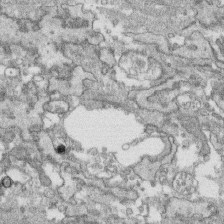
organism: Human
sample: CRL-1474